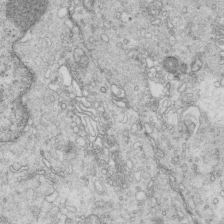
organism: Mouse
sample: Multiciliated cells